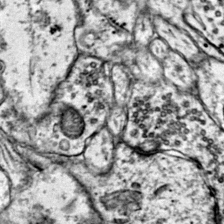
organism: Mouse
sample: Primary visual cortex